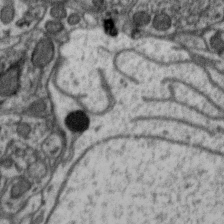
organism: Zebra finch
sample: Brain